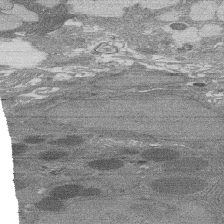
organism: Rat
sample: Salivary granule